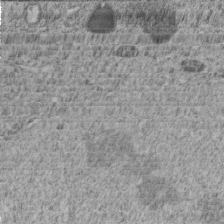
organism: C. elegans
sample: C. elegans embryo early stage